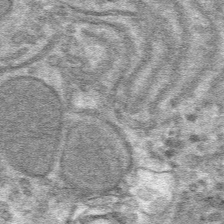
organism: Mouse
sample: Mouse hepatocytes